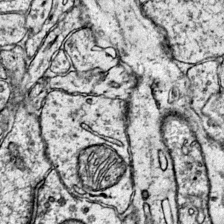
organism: Mouse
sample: Primary visual cortex